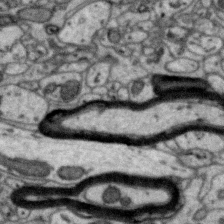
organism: Zebra finch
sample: Brain